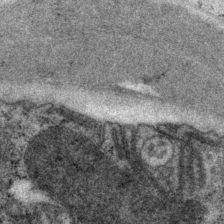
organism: P. pacificus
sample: Pharynx